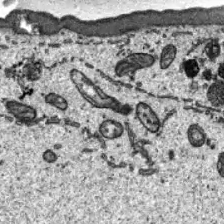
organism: Human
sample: HeLa cells